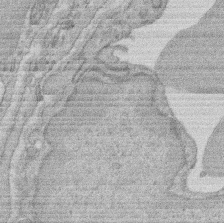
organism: Rat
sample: Salivary granule